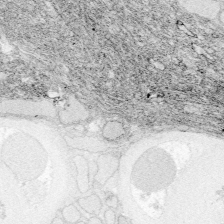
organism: Zebrafish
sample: Whole-Brain